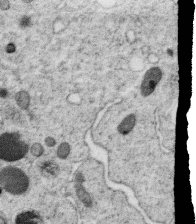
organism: C. elegans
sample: C. elegans oocyte; sperm cells